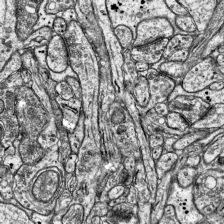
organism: Mouse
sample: Visual Cortex